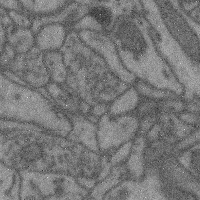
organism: Mouse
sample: Cerebral cortex